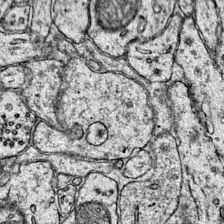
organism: Mouse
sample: Primary visual cortex